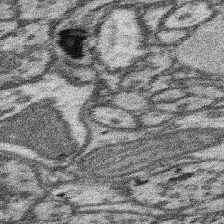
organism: Mouse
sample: Somatosensory cortex neuropil